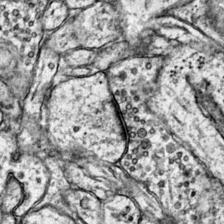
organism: Mouse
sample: Primary visual cortex